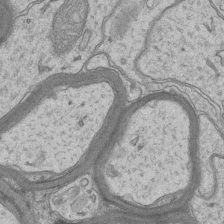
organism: Mouse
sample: CA1 Hippocampus